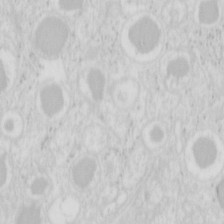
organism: Mouse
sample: Pancreas